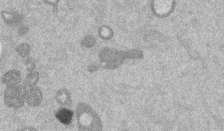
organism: Mouse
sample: Dividing mouse embryo 1 cell stage